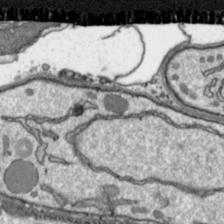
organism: Toxoplasma gondii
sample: Parasites in a vacuole inside a host cell